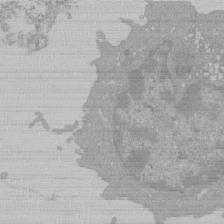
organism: Mouse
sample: Activated Pmel transgenic CD8+ T Cells